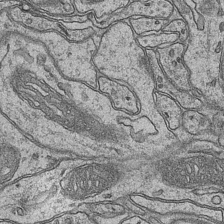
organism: Mouse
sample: CA1 Hippocampus